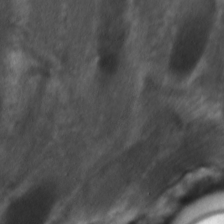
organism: C. elegans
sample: Pharynx